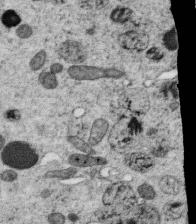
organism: C. elegans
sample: C. elegans oocyte; sperm cells